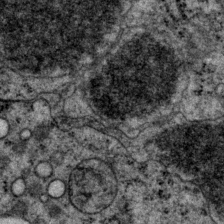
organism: P. pacificus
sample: Pharynx